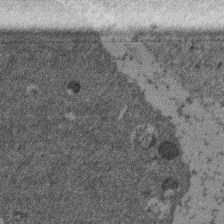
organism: Mouse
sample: Dividing mouse embryo 1 cell stage